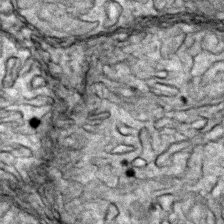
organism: Zebrafish